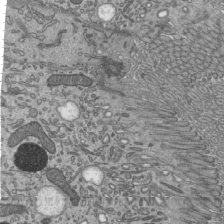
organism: Mouse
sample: Mouse epididymis efferent ductule cilia